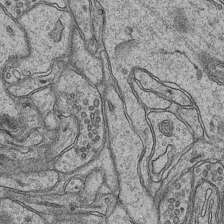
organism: Mouse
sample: CA1 Hippocampus